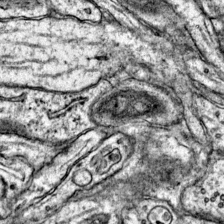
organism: Mouse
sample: Primary visual cortex